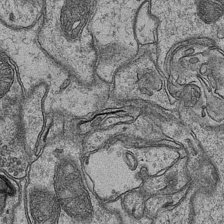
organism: Mouse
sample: CA1 Hippocampus